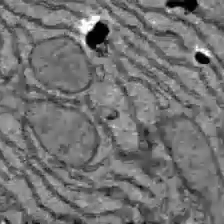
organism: C57BL Mouse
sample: Liver